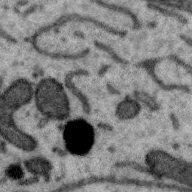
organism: Zebra finch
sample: Brain